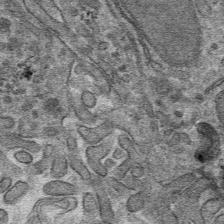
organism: Mouse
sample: Mouse hepatocytes